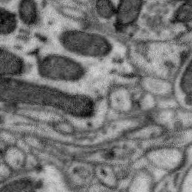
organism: Zebra finch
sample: Brain